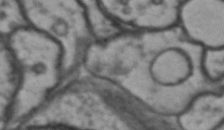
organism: Drosophila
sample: Brain